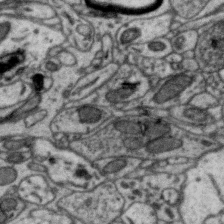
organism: Zebra finch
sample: Brain